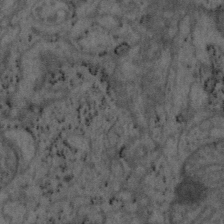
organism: Human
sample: HeLa cells